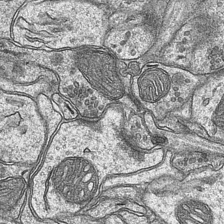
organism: Mouse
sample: CA1 Hippocampus